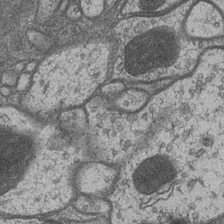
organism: Drosophila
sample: Optic medulla